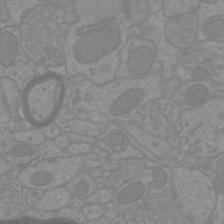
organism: Mouse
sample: Cortical neurons